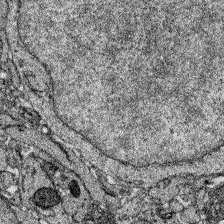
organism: Zebrafish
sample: Larval olfactory bulb